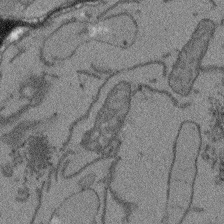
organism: Arabidopsis thaliana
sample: Root tip